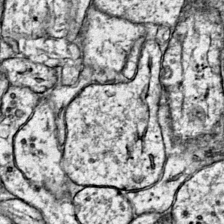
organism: Mouse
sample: Primary visual cortex